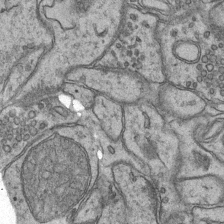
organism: Mouse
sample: CA1 Hippocampus